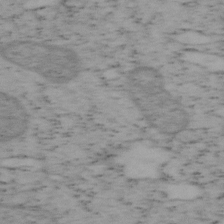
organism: Mouse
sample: OT-I killer T cells with ID8 ovarian cancer cells